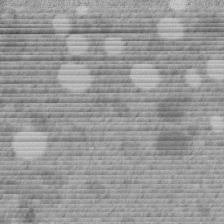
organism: C. elegans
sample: C. elegans embryo early stage